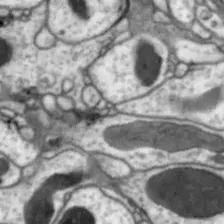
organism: Drosophila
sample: Optic lobe